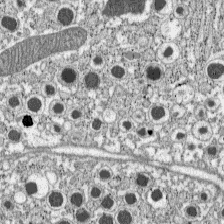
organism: C57BL Mouse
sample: Pancreatic islet